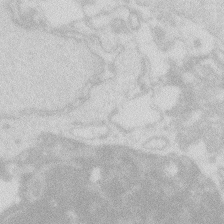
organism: Zebrafish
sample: Macrophage